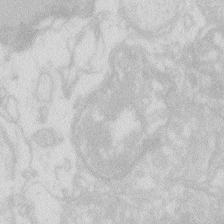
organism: Zebrafish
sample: Macrophage